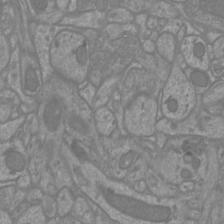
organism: Mouse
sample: Cortical neurons